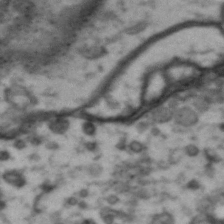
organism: Drosophila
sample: Brain